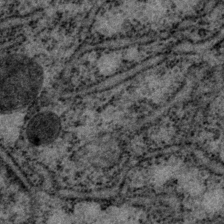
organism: P. pacificus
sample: Pharynx